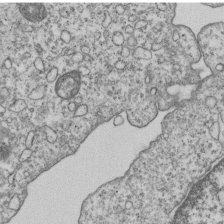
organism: Human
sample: MDA-MB-231 cells